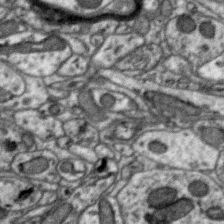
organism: Zebra finch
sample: Brain